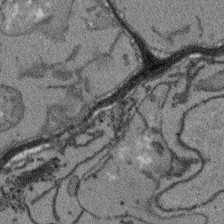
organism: Arabidopsis thaliana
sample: Root tip